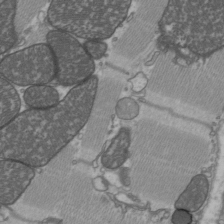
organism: C57BL Mouse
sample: Heart